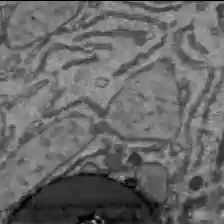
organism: C57BL Mouse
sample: Liver